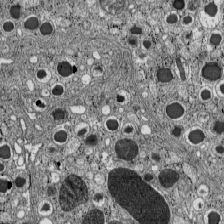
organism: C57BL Mouse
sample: Pancreatic islet